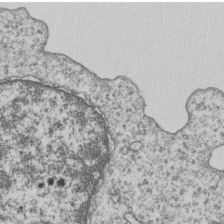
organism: Human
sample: MDA-MB-231 cells